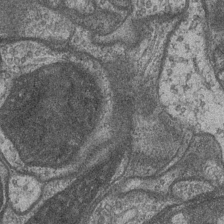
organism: Drosophila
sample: Optic medulla